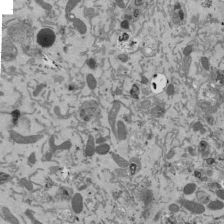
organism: Mouse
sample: ED-1 cell nuclei; centrioles